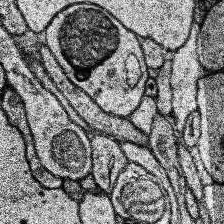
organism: Human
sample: Temporal Lobe